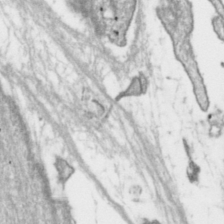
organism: Toxoplasma gondii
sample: Parasites in a vacuole inside a host cell